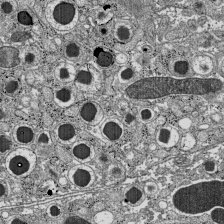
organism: C57BL Mouse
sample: Pancreatic islet